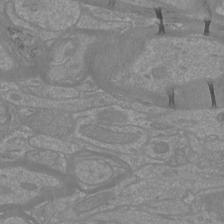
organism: Mouse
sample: Cortical neurons